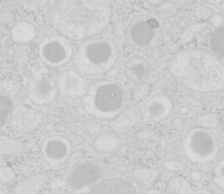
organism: Mouse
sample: Pancreas